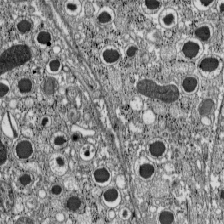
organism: C57BL Mouse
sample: Pancreatic islet